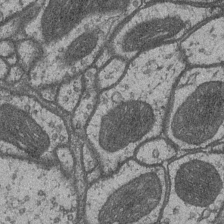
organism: Drosophila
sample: Optic medulla